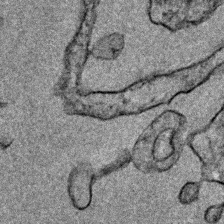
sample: Trachea